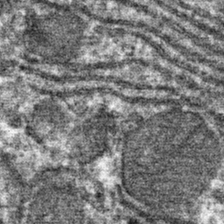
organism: Mouse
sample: Mouse hepatocytes